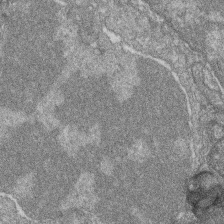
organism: Zebrafish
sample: Cilia; retinal pigment epithelium